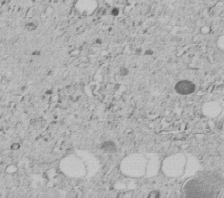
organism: C. elegans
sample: C. elegans embryo early stage